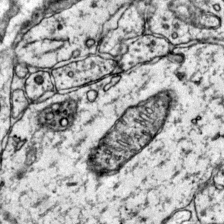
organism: Mouse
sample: Primary visual cortex